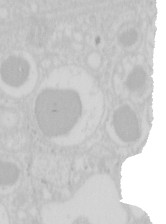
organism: Mouse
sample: Pancreas